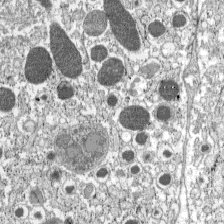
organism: C57BL Mouse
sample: Pancreatic islet